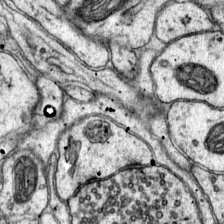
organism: Mouse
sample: Primary visual cortex